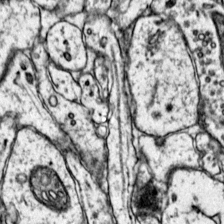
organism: Mouse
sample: Primary visual cortex